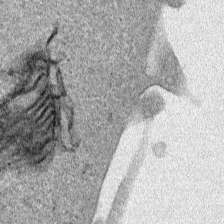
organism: Human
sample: Mitochondria in HCT116 cells